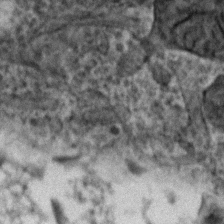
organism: Zebrafish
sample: Zebrafish embryo